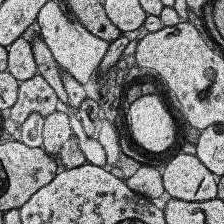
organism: Human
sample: Temporal Lobe